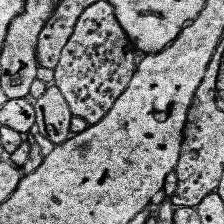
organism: Human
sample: Temporal Lobe